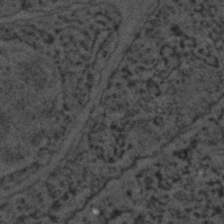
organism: C. elegans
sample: C. elegans embryo